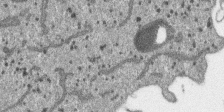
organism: Human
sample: Lung epithelial cells infected with SARS-CoV-2